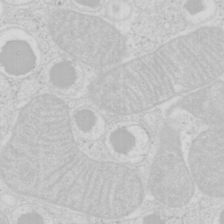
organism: Mouse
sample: Pancreas